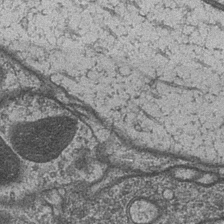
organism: Drosophila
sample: Optic medulla